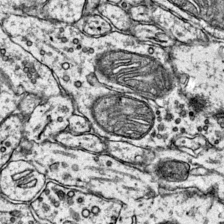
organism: Mouse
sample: Primary visual cortex